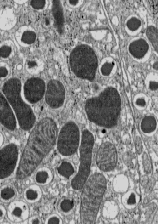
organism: C57BL Mouse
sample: Pancreatic islet